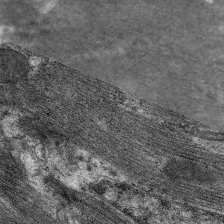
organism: C. elegans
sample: Pharynx